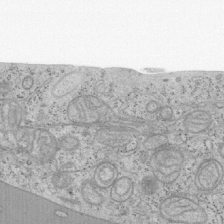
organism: Human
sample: HeLa cells